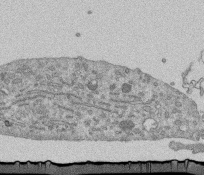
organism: Mouse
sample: ED-1 cell nuclei; centrioles